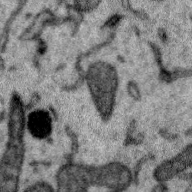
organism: Zebra finch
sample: Brain